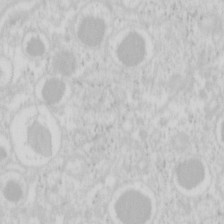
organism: Mouse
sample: Pancreas